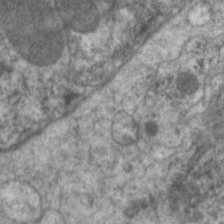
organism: C. elegans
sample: Pharynx